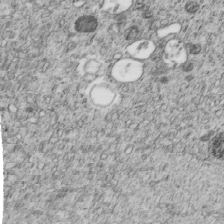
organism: C. elegans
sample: C. elegans embryo early stage